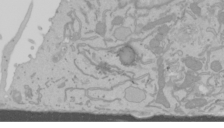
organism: Mouse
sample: Cancer cell death in ED-1 cells